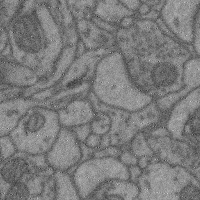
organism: Mouse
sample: Cerebral cortex